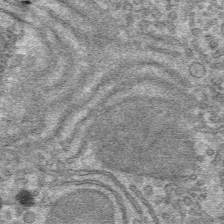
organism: Mouse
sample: Mouse hepatocytes